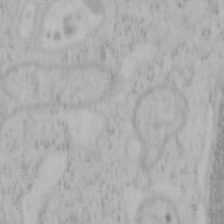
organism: Mouse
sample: OT-I killer T cells with ID8 ovarian cancer cells